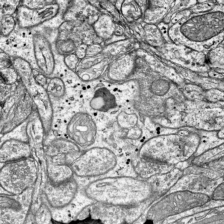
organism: Mouse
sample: Visual Cortex